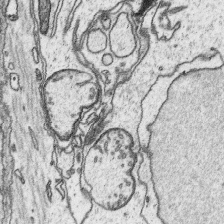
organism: Platynereis dumerilii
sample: Parapodia